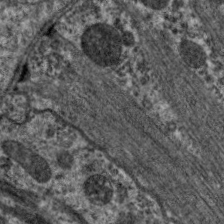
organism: C. elegans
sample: Pharynx